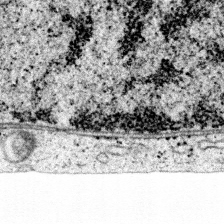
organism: Human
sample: HeLa cells